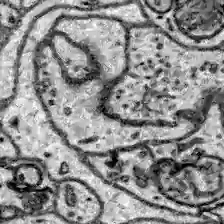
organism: Zebrafish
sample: Brain